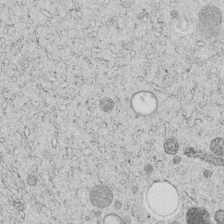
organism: C. elegans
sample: C. elegans embryo early stage